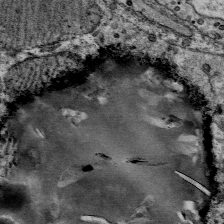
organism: Mouse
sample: Mouse Salivary gland